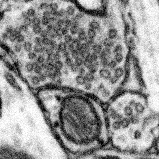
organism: Mouse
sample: Somatosensory cortex neuropil